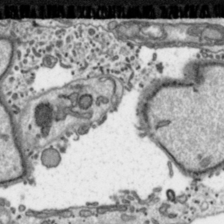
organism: Toxoplasma gondii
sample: Parasites in a vacuole inside a host cell